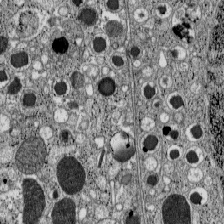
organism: C57BL Mouse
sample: Pancreatic islet